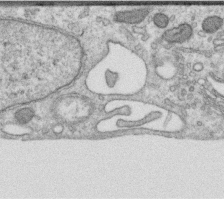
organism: Human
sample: Centriole in RPE cells